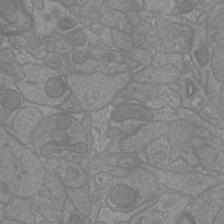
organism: Mouse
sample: Cortical neurons